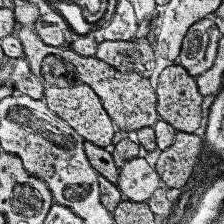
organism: Human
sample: Temporal Lobe